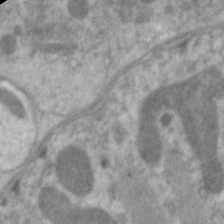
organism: C. elegans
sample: Pharynx